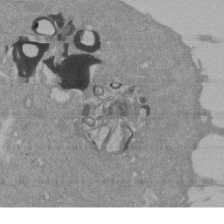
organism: Mouse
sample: ED-1 cell nuclei; centrioles